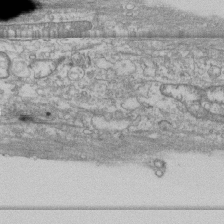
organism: Human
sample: Fibroblast cells